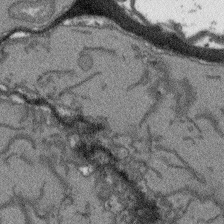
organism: Arabidopsis thaliana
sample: Root tip